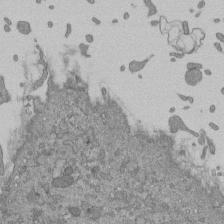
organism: Mouse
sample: ED-1 cell nuclei; centrioles